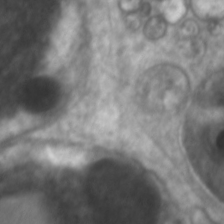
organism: C. elegans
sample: Pharynx